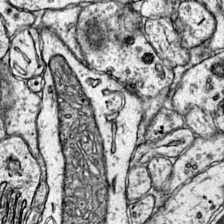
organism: Mouse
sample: Primary visual cortex